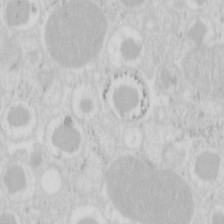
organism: Mouse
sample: Pancreas